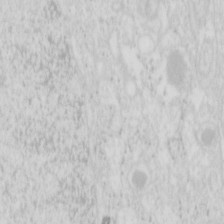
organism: Mouse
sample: Pancreas